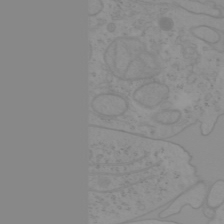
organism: Human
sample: HeLa cells